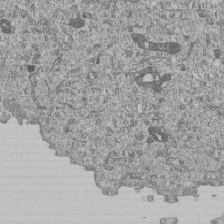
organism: Human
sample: MDA-MB-231 cells